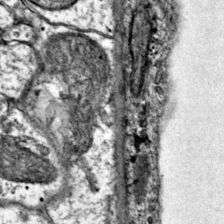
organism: Mouse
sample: Primary visual cortex